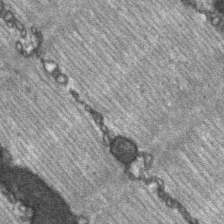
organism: C57BL Mouse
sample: Soleus